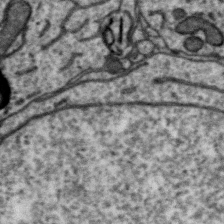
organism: Zebra finch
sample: Brain